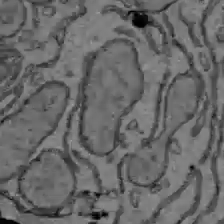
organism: C57BL Mouse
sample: Liver